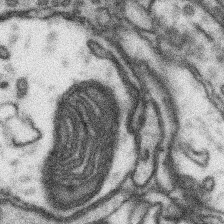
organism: Mouse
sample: Somatosensory cortex neuropil